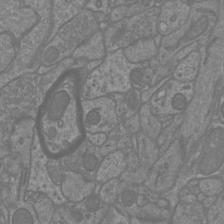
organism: Mouse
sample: Cortical neurons